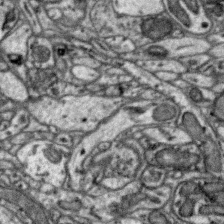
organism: Zebra finch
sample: Brain